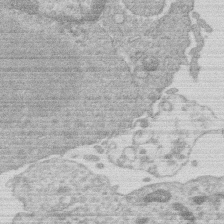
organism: Human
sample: Macrophage cells